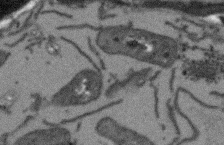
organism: Arabidopsis thaliana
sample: Root tip